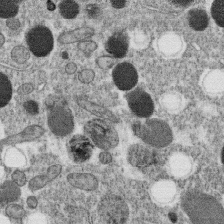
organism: C. elegans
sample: C. elegans oocyte; sperm cells